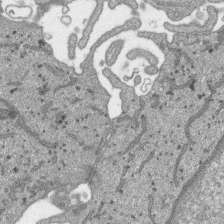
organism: Human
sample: Lung epithelial cells infected with SARS-CoV-2